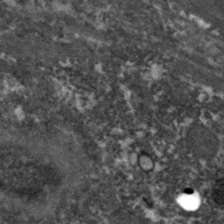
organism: Zebrafish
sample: Zebrafish embryo